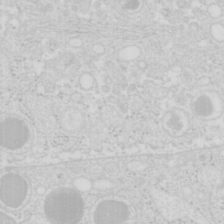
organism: Mouse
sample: Pancreas